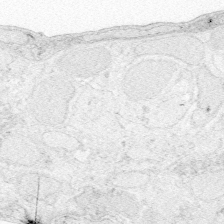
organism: Zebrafish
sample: Whole-Brain